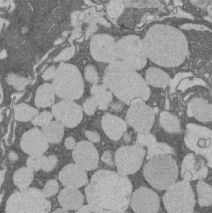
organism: Rat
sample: Salivary granule